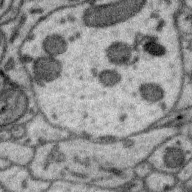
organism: Zebra finch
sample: Brain